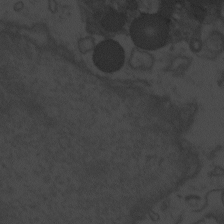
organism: Zebrafish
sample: Macrophage infected with Toxoplasma gondii